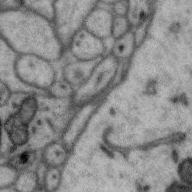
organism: Zebra finch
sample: Brain